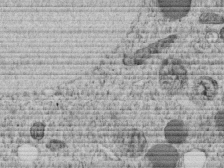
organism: C. elegans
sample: C. elegans embryo early stage